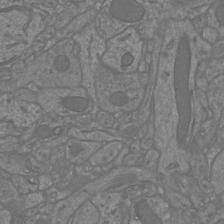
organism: Mouse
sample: Cortical neurons